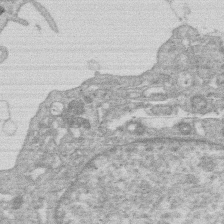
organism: Human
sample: Macrophage cells